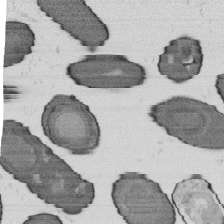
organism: B. subtilis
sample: Bacterial spore